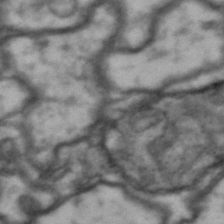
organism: Drosophila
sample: Brain